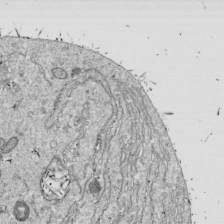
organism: Drosophila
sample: Cell division; meiosis; drosophila spermatocytes